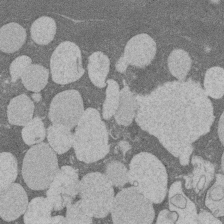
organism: Rat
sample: Salivary granule